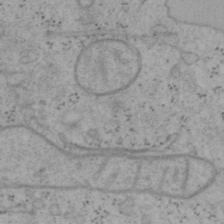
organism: Human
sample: HeLa cells